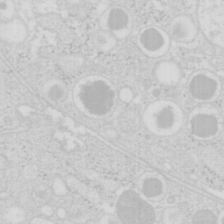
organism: Mouse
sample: Pancreas